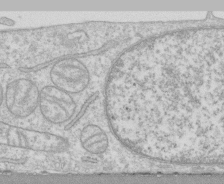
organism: Human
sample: CRL-1474